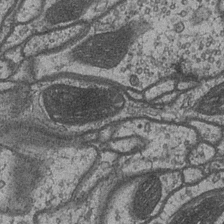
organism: Drosophila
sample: Optic medulla